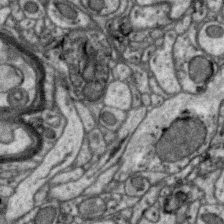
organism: Zebra finch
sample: Brain